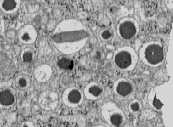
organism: C57BL Mouse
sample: Pancreatic islet